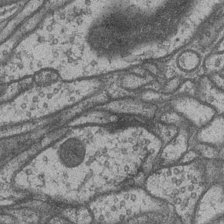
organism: Drosophila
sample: Optic medulla